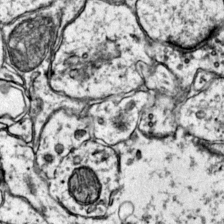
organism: Mouse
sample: Primary visual cortex